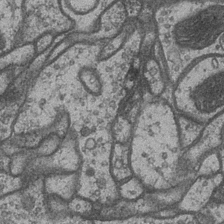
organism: Drosophila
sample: Optic medulla